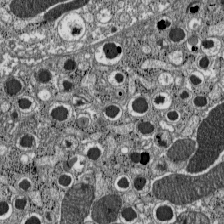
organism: C57BL Mouse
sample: Pancreatic islet